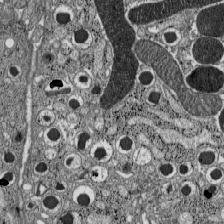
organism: C57BL Mouse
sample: Pancreatic islet